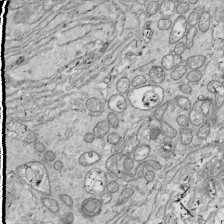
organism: Drosophila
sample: Cell division; meiosis; drosophila spermatocytes